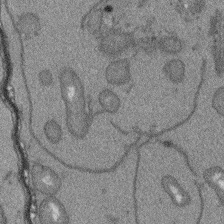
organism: Arabidopsis thaliana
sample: Root tip